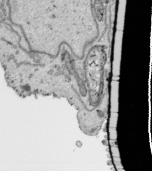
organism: Human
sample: Mitochondria in HCT116 cells